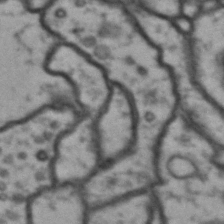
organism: Drosophila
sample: Brain